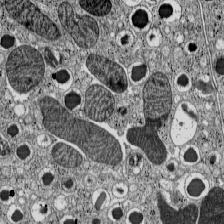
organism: C57BL Mouse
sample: Pancreatic islet